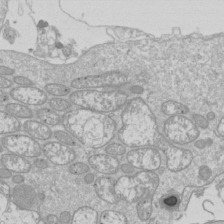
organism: Drosophila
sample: Cell division; meiosis; drosophila spermatocytes